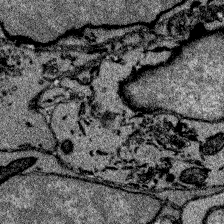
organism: Zebrafish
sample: Larval olfactory bulb